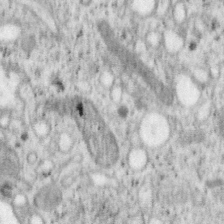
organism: Mouse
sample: OT-I killer T cells with ID8 ovarian cancer cells